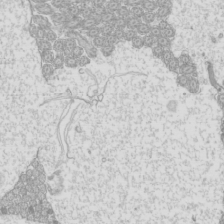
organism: Mouse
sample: Cilia; mouse epididymis